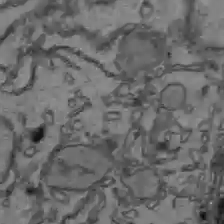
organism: C57BL Mouse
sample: Liver